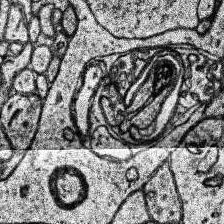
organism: Human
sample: Temporal Lobe